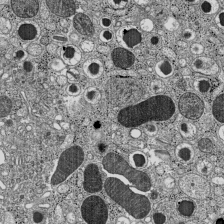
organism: C57BL Mouse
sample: Pancreatic islet